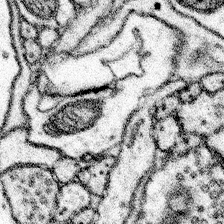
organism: Mouse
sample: Somatosensory cortex neuropil